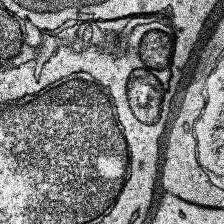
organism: Human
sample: Temporal Lobe